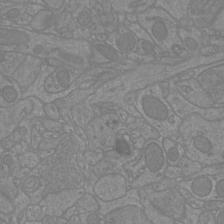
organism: Mouse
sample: Cortical neurons